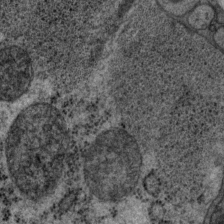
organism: P. pacificus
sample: Pharynx